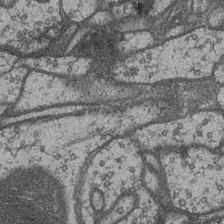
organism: Drosophila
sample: Optic medulla